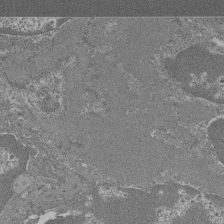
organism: Mouse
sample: Glomerulus